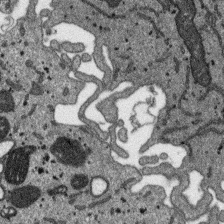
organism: Human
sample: Lung epithelial cells infected with SARS-CoV-2